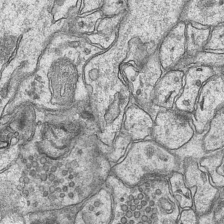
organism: Mouse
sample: CA1 Hippocampus